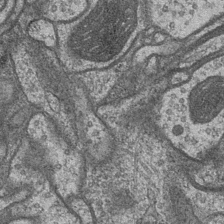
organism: Drosophila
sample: Optic medulla